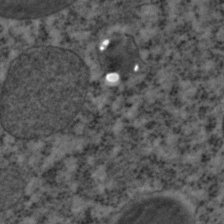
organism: C. elegans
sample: C. elegans embryo